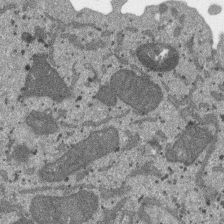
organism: Human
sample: Lung epithelial cells infected with SARS-CoV-2